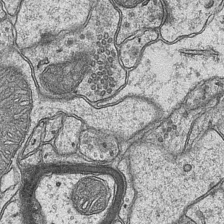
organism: Mouse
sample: CA1 Hippocampus